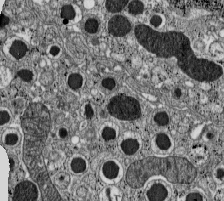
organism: C57BL Mouse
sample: Pancreatic islet